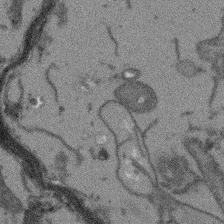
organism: Arabidopsis thaliana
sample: Root tip